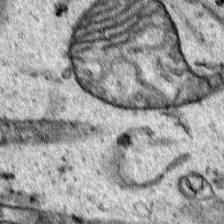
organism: Human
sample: Mitochondria in HCT116 cells